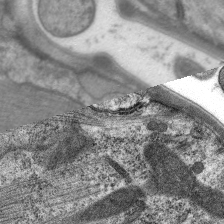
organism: C. elegans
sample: Pharynx